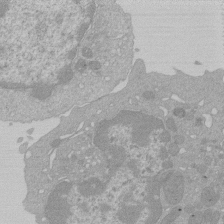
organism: Mouse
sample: Activated Pmel transgenic CD8+ T Cells